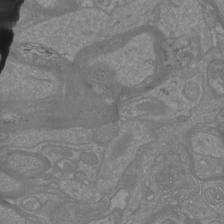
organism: Mouse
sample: Cortical neurons